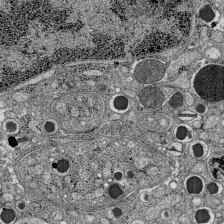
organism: C57BL Mouse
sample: Pancreatic islet